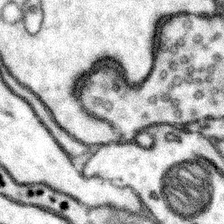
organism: Mouse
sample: Somatosensory cortex neuropil